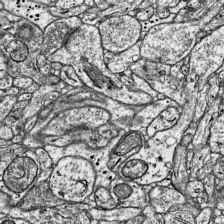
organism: Mouse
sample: Visual Cortex